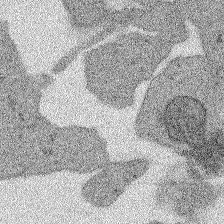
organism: Human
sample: HeLa cells